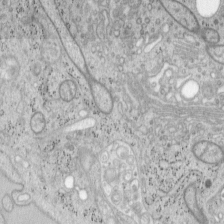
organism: Mouse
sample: OT-I killer T cells with ID8 ovarian cancer cells